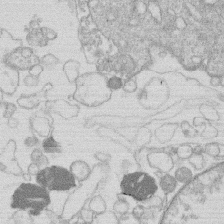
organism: Human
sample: Macrophage cells